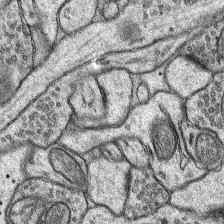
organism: Rat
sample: Hippocampus